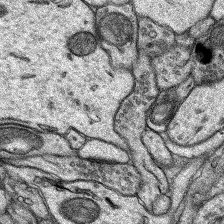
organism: Rat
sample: Hippocampus